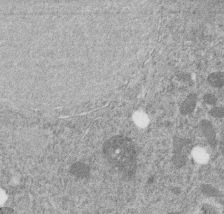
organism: C. elegans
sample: C. elegans embryo early stage